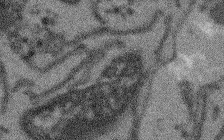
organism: Arabidopsis thaliana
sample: Root tip